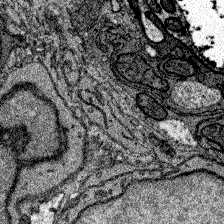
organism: Zebrafish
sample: Larval olfactory bulb